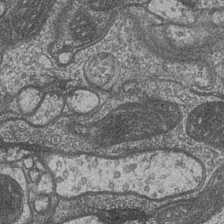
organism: Drosophila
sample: Optic medulla